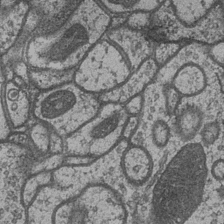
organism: Drosophila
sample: Optic medulla